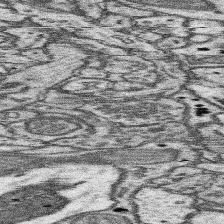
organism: Mouse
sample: Somatosensory cortex neuropil